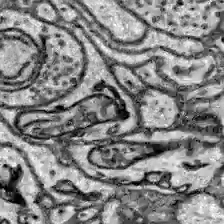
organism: Zebrafish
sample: Brain